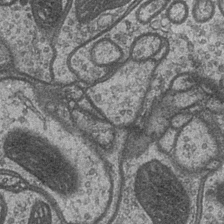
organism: Drosophila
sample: Optic medulla